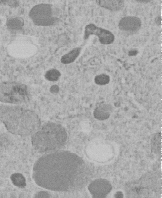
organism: C. elegans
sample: C. elegans embryo early stage